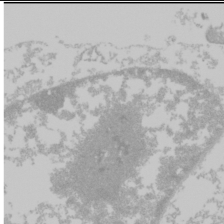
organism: Mouse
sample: Cancer cell death in ED-1 cells